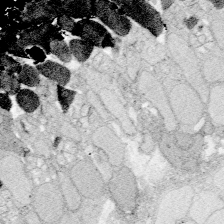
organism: Zebrafish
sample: Whole-Brain